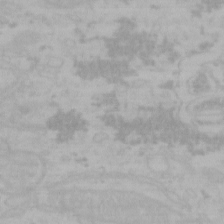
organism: Mouse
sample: Choroid plexus